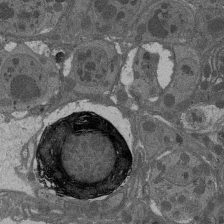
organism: Drosophila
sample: Antenna